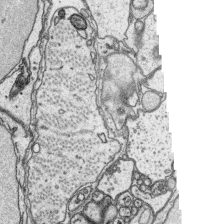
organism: Platynereis dumerilii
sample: Parapodia